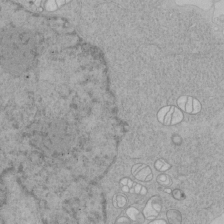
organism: Human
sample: Mitochondria in HCT116 cells